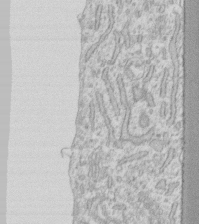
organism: Human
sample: Fibroblast cells